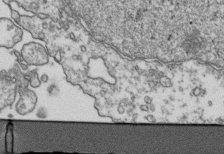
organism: Human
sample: Activated Jurkat CD4+ T cells